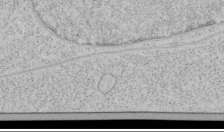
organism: Human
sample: Mitochondria in HCT116 cells